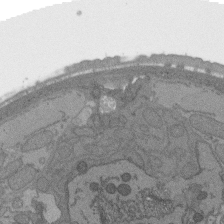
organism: C. elegans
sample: AFD neurons C. elegans